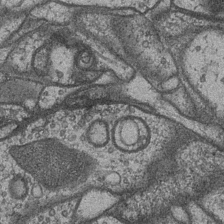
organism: Drosophila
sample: Optic medulla